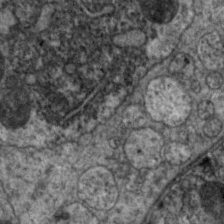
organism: C. elegans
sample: Pharynx